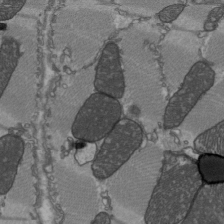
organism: C57BL Mouse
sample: Heart